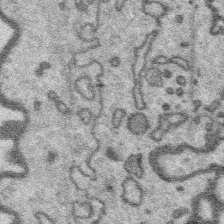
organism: Platynereis dumerilii